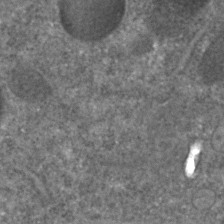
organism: C. elegans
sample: C. elegans embryo